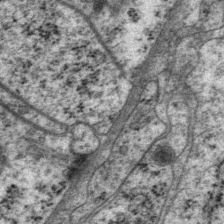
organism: P. pacificus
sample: Pharynx